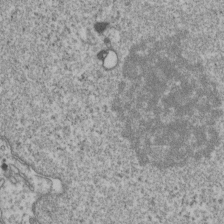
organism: Human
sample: Activated Jurkat CD4+ T cells